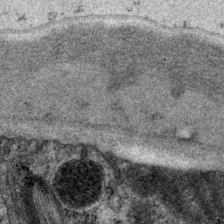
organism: P. pacificus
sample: Pharynx